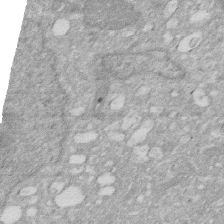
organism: Human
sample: HIV infected U937 cells